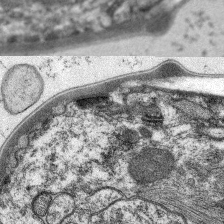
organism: C. elegans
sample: Pharynx